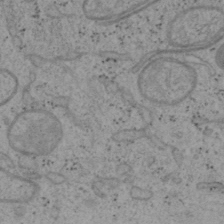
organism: Human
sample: HeLa cells